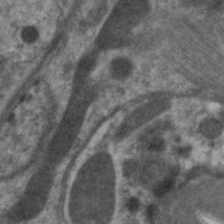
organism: C. elegans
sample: Pharynx